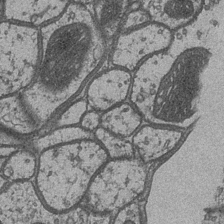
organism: Drosophila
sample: Optic medulla